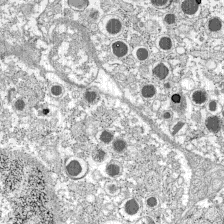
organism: C57BL Mouse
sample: Pancreatic islet